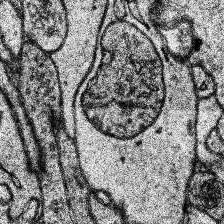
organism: Human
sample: Temporal Lobe